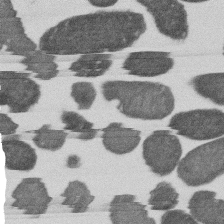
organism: E. coli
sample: Bacterial nucleoid